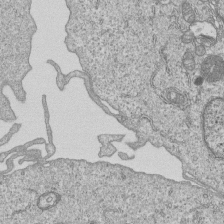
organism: Human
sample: MDA-MB-231 cells